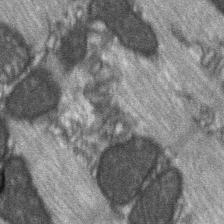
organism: C57BL Mouse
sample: Soleus